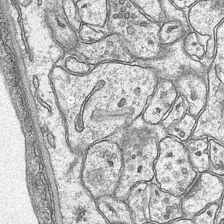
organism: Mouse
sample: CA1 Hippocampus